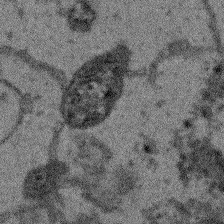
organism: Arabidopsis thaliana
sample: Root tip